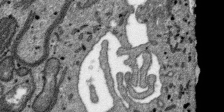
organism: Human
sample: Lung epithelial cells, uninfected (mock) control